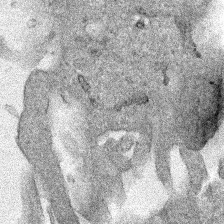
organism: Human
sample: Mitochondria in HCT116 cells